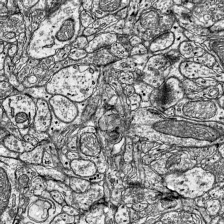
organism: Mouse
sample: Visual Cortex